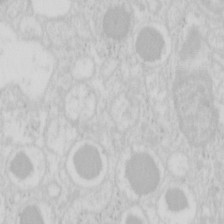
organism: Mouse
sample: Pancreas